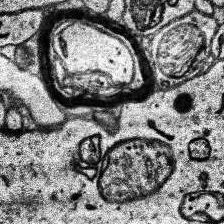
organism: Human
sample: Temporal Lobe